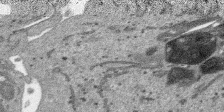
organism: Human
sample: Lung epithelial cells infected with SARS-CoV-2